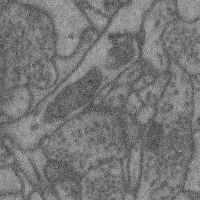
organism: Mouse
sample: Cerebral cortex